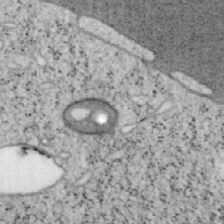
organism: Mouse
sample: OT-I killer T cells with ID8 ovarian cancer cells